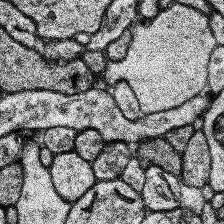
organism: Human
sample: Temporal Lobe